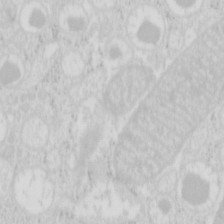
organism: Mouse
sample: Pancreas